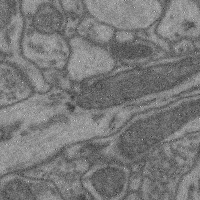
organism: Mouse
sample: Cerebral cortex